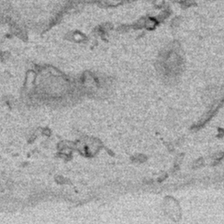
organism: Human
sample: Mitochondria in HCT116 cells